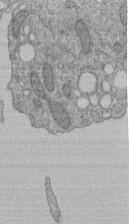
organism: Human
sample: Retinal organoid Rod and Cone cells